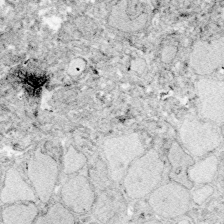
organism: Zebrafish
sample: Whole-Brain